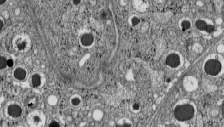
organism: C57BL Mouse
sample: Pancreatic islet